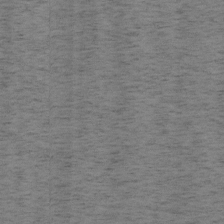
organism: Mouse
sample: OT-I killer T cells with ID8 ovarian cancer cells